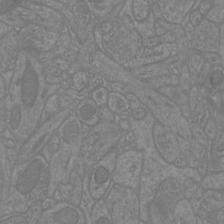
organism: Mouse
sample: Cortical neurons